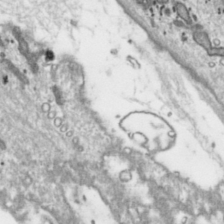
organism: Toxoplasma gondii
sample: Parasites in a vacuole inside a host cell